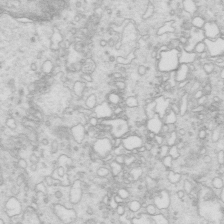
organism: Mouse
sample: Multiciliated cells